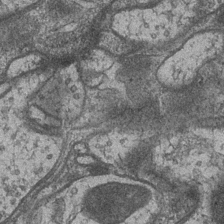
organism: Drosophila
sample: Optic medulla